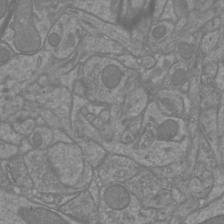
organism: Mouse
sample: Cortical neurons